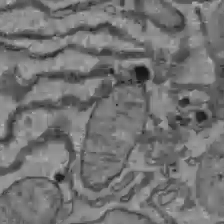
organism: C57BL Mouse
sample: Liver